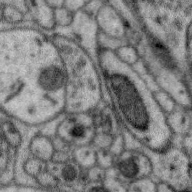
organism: Zebra finch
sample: Brain